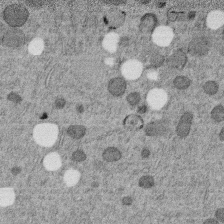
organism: C. elegans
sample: C. elegans embryo early stage